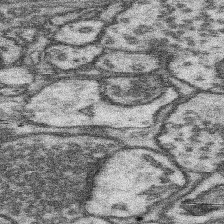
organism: Mouse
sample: Somatosensory cortex neuropil